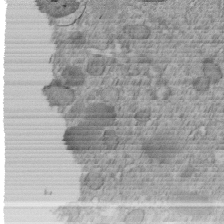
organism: C. elegans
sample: C. elegans embryo early stage